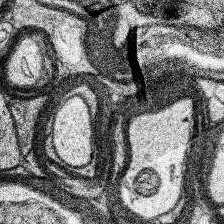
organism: Human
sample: Temporal Lobe